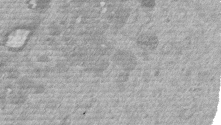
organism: Mouse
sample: Dividing mouse embryo 1 cell stage